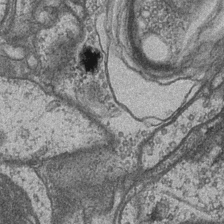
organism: Drosophila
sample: Optic medulla